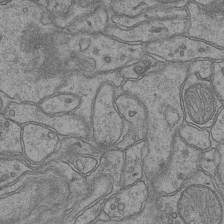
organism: Mouse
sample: CA1 Hippocampus